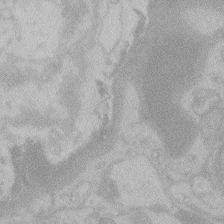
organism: Zebrafish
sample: Macrophage infected with Toxoplasma gondii